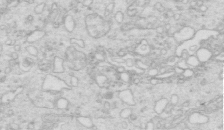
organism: Mouse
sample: Multiciliated cells